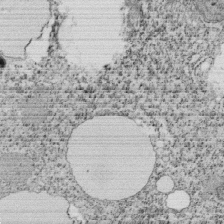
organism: Tetrahymena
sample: Cilia in tetrahymena